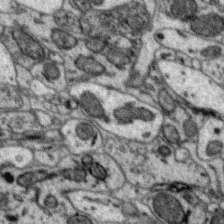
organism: Zebra finch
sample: Brain